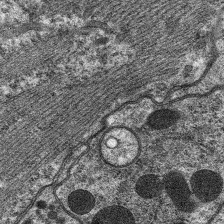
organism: C. elegans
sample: Pharynx